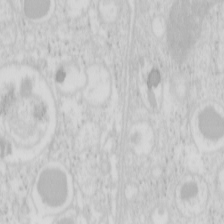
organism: Mouse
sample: Pancreas